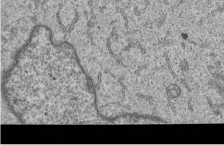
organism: Human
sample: MDA-MB-231 cells